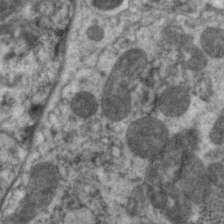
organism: C. elegans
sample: Pharynx